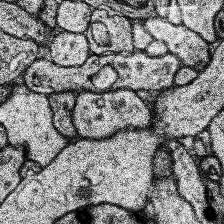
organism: Human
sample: Temporal Lobe